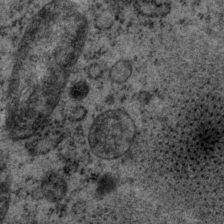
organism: P. pacificus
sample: Pharynx